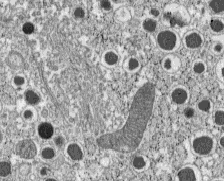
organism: C57BL Mouse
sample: Pancreatic islet